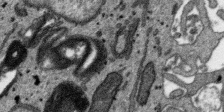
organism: Human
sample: Lung epithelial cells, uninfected (mock) control